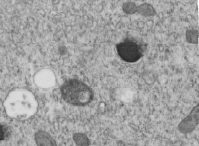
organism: C. elegans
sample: C. elegans embryo early stage